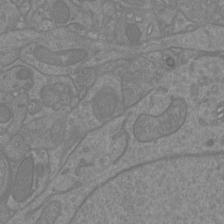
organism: Mouse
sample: Cortical neurons